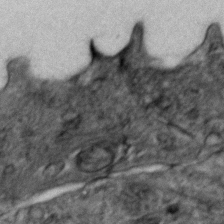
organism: Zebrafish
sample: Zebrafish embryo